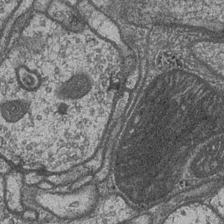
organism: Drosophila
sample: Optic medulla